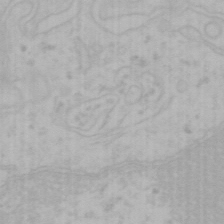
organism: Mouse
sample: Choroid plexus